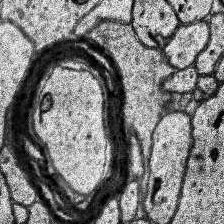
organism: Human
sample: Temporal Lobe